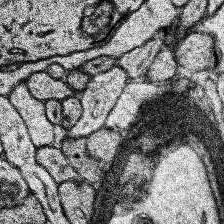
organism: Human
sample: Temporal Lobe